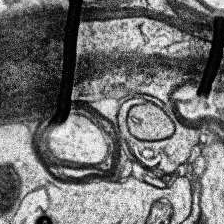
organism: Human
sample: Temporal Lobe